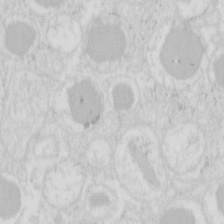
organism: Mouse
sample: Pancreas